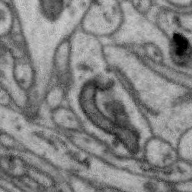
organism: Zebra finch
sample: Brain